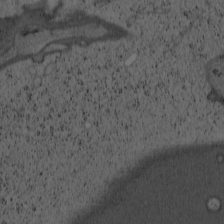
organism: African green monkey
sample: COS-7 cells